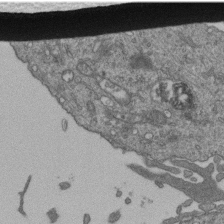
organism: Human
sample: Retinal organoid Rod and Cone cells